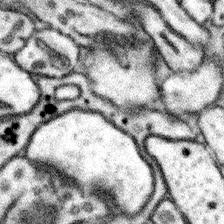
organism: Mouse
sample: Somatosensory cortex neuropil